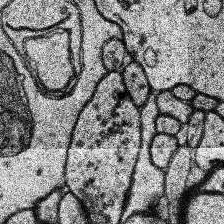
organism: Human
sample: Temporal Lobe